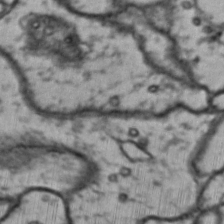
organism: Drosophila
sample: Brain